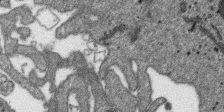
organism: Human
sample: Lung epithelial cells infected with SARS-CoV-2